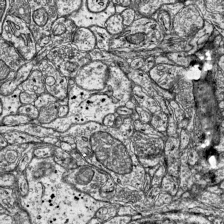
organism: Mouse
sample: Visual Cortex